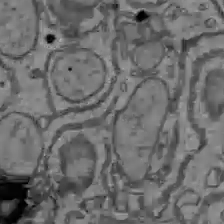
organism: C57BL Mouse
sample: Liver